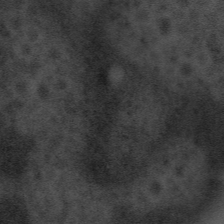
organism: Tuwongella immobilis